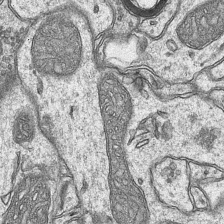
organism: Mouse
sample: CA1 Hippocampus